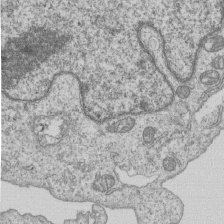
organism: Human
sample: MDA-MB-231 cells